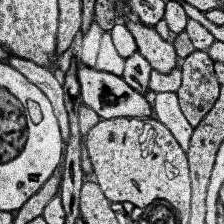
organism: Human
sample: Temporal Lobe